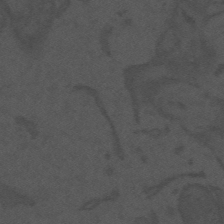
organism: Mouse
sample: Suprachiasmatic nucleus